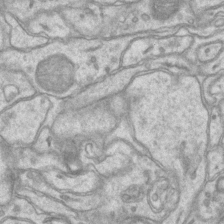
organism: Mouse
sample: CA1 Hippocampus